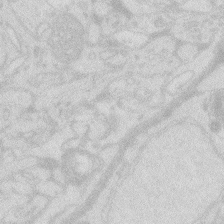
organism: Zebrafish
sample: Macrophage